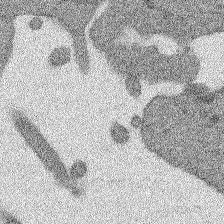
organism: Human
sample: HeLa cells